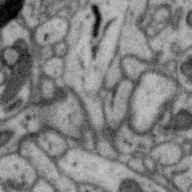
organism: Zebra finch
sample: Brain